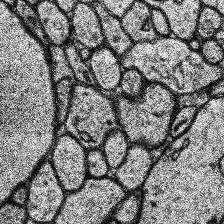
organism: Human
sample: Temporal Lobe